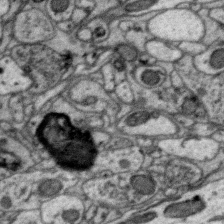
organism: Zebra finch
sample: Brain